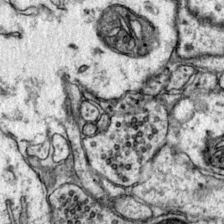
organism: Mouse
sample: Primary visual cortex